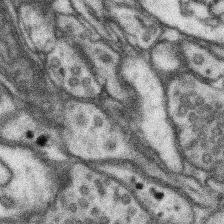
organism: Mouse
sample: Somatosensory cortex neuropil